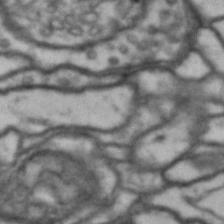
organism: Drosophila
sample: Brain